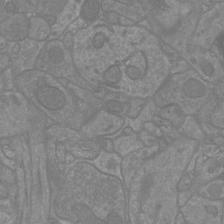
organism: Mouse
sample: Cortical neurons